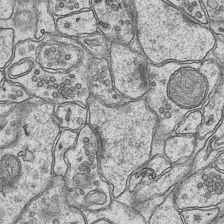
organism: Mouse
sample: CA1 Hippocampus